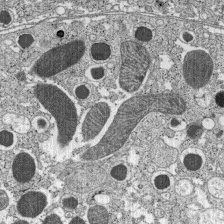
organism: C57BL Mouse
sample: Pancreatic islet